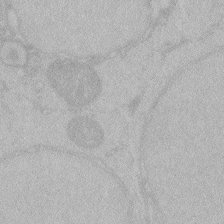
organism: Zebrafish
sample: Macrophage infected with Toxoplasma gondii